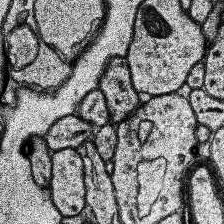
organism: Human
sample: Temporal Lobe